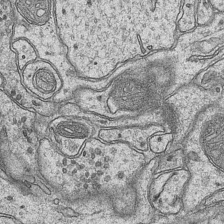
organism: Mouse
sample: CA1 Hippocampus